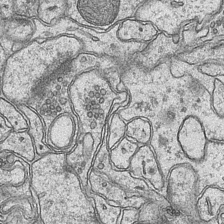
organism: Mouse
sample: CA1 Hippocampus